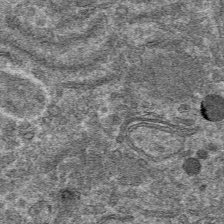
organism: Mouse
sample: Mouse hepatocytes